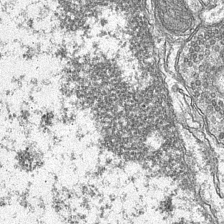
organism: Mouse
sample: CA1 Hippocampus